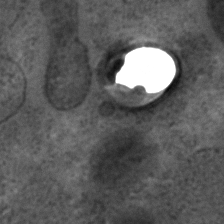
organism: C. elegans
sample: C. elegans embryo